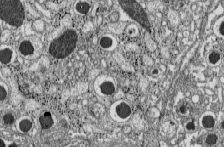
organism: C57BL Mouse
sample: Pancreatic islet